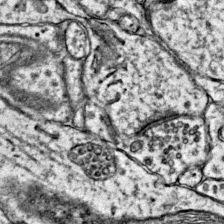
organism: Mouse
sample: Primary visual cortex